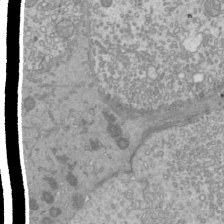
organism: Mouse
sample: Cilia; mouse epididymis